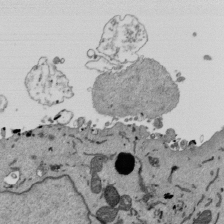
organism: Mouse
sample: ED-1 cell nuclei; centrioles